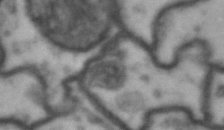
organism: Drosophila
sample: Brain